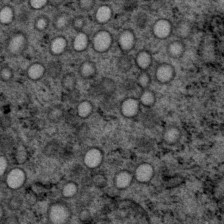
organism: P. pacificus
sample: Pharynx